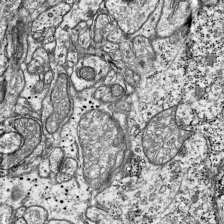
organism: Mouse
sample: Visual Cortex